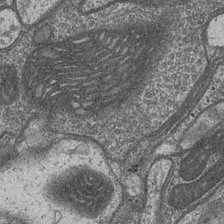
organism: Drosophila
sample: Optic medulla